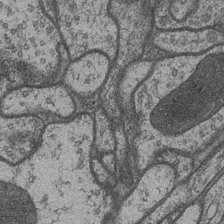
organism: Drosophila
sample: Optic medulla